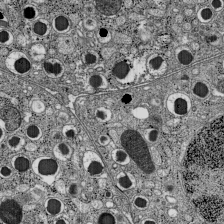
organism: C57BL Mouse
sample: Pancreatic islet